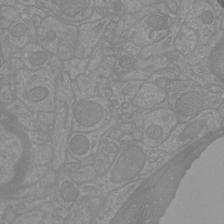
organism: Mouse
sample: Cortical neurons